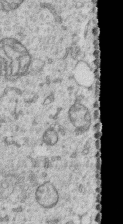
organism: Human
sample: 1205lu cells